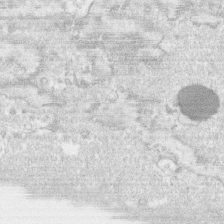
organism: Human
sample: CRL-1474